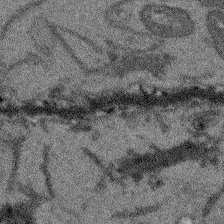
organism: Arabidopsis thaliana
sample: Root tip